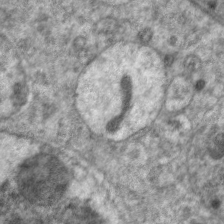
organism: C. elegans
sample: Pharynx